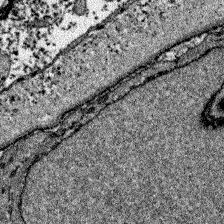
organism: Zebrafish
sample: Larval olfactory bulb